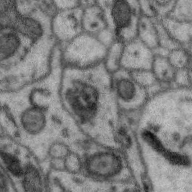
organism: Zebra finch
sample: Brain